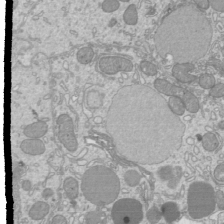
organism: Mouse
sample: Cilia; mouse epididymis